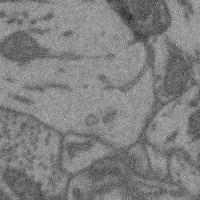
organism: Mouse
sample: Cerebral cortex